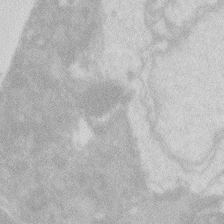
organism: Zebrafish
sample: Macrophage